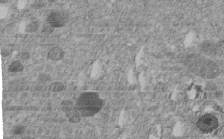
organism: C. elegans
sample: C. elegans embryo early stage